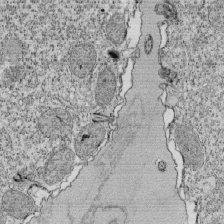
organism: Tetrahymena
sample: Cilia in tetrahymena